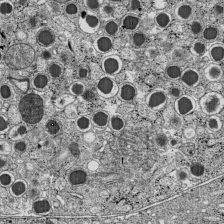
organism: C57BL Mouse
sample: Pancreatic islet